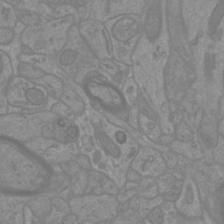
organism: Mouse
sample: Cortical neurons